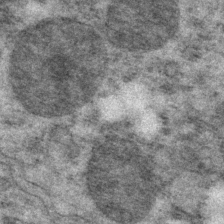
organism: P. pacificus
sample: Pharynx